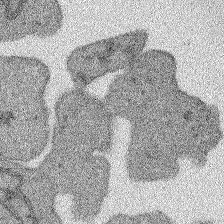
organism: Human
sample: HeLa cells